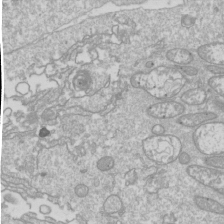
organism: Drosophila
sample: Cell division; meiosis; drosophila spermatocytes